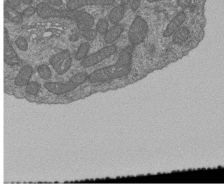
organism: Human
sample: Retinal organoid Rod and Cone cells